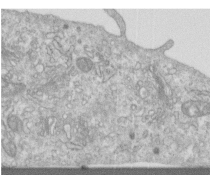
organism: Human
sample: Centriole in RPE cells